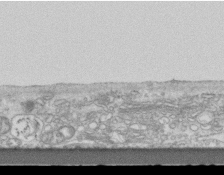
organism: Mouse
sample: Centriole in ependymal cells